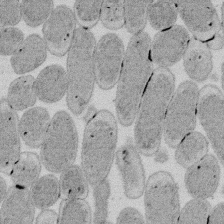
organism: E. coli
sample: Bacterial nucleoid